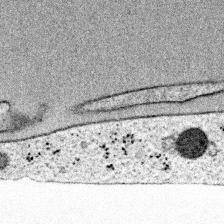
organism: Human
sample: HeLa cells